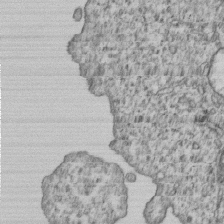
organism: Human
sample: MDA-MB-231 cells